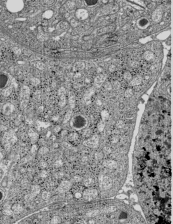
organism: C57BL Mouse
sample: Pancreatic islet